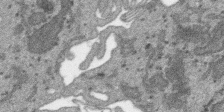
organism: Human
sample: Lung epithelial cells infected with SARS-CoV-2